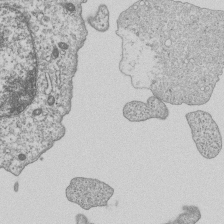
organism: Human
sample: MDA-MB-231 cells